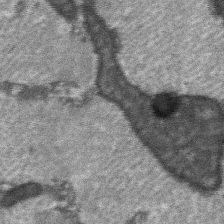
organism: C57BL Mouse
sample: Soleus